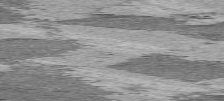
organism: C57BL Mouse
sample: Heart